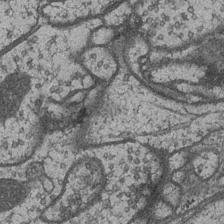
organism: Drosophila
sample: Optic medulla